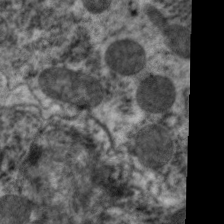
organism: C. elegans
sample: Pharynx